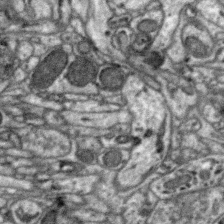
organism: Zebra finch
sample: Brain